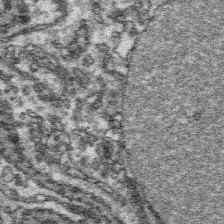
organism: Platynereis dumerilii